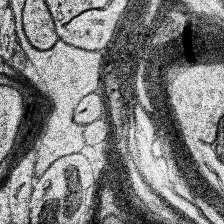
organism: Human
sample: Temporal Lobe